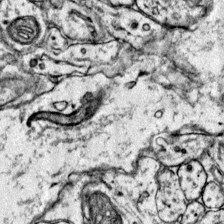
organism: Mouse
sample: Primary visual cortex